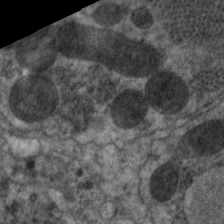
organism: C. elegans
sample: Pharynx